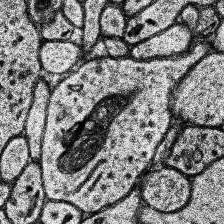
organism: Human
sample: Temporal Lobe